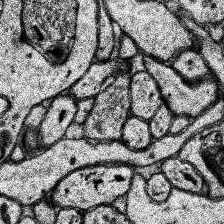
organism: Human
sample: Temporal Lobe